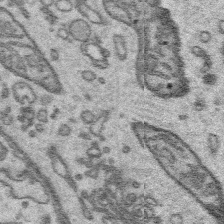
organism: Platynereis dumerilii